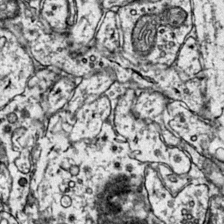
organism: Mouse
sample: Primary visual cortex